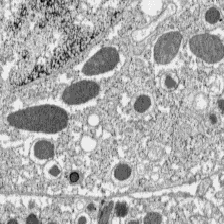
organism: C57BL Mouse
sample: Pancreatic islet